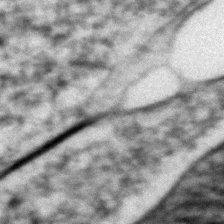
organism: Zebrafish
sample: Zebrafish embryo